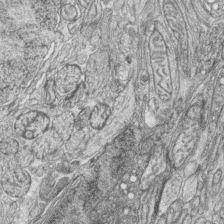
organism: Zebrafish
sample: synaptic ribbons in rod cells and cone cells